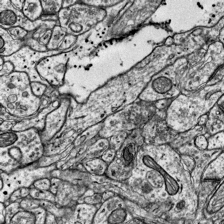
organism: Mouse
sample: Visual Cortex